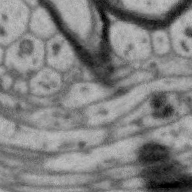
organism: Zebra finch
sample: Brain